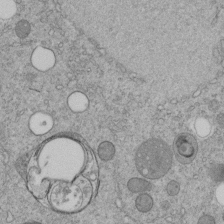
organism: C. elegans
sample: C. elegans embryo early stage